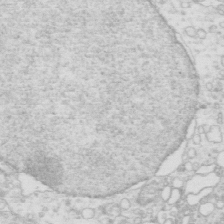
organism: Mouse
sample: Multiciliated cells